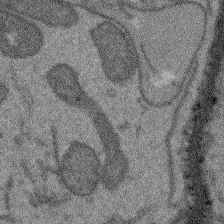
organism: Arabidopsis thaliana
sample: Root tip